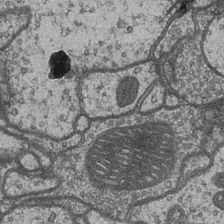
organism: Drosophila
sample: Optic medulla